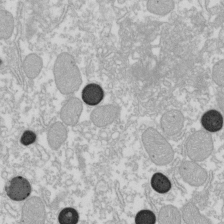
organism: Xenopus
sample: Cilia; centrioles in frog embryo cells